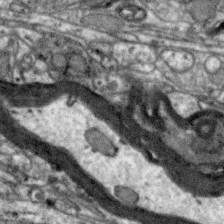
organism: Zebra finch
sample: Brain